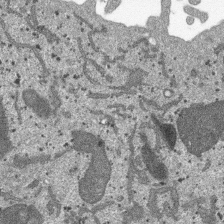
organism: Human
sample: Lung epithelial cells infected with SARS-CoV-2